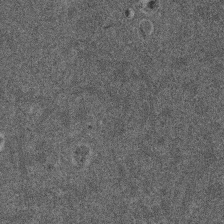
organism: Mouse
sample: Dividing mouse embryo 1 cell stage